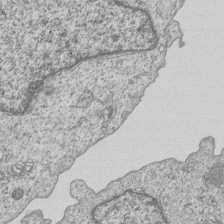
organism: Human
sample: MDA-MB-231 cells